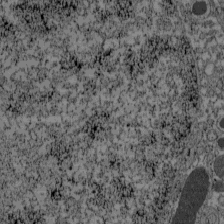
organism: C57BL Mouse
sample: Pancreatic islet